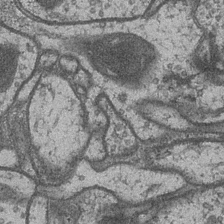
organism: Drosophila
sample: Optic medulla